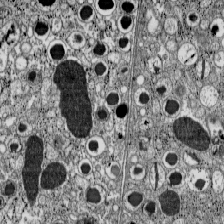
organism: C57BL Mouse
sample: Pancreatic islet